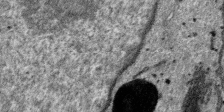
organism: Human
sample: Lung epithelial cells, uninfected (mock) control